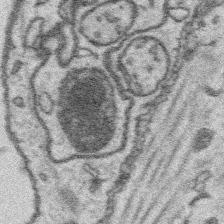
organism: Platynereis dumerilii